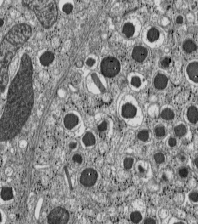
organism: C57BL Mouse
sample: Pancreatic islet